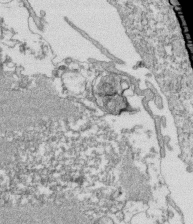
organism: Human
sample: HeLa cell HIV synapse